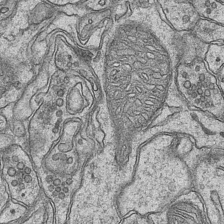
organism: Mouse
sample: CA1 Hippocampus